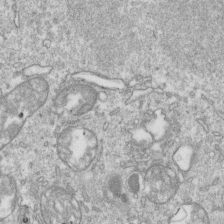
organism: Mouse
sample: Activated OT-1 CD8+ T cells